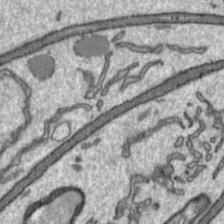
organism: Toxoplasma gondii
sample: Parasites in a vacuole inside a host cell